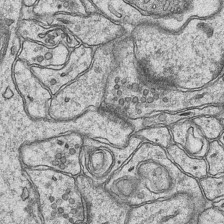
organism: Mouse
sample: CA1 Hippocampus